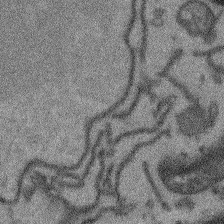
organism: Arabidopsis thaliana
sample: Root tip